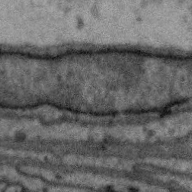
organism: Zebra finch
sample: Brain